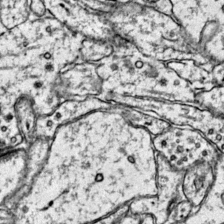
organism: Mouse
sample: Primary visual cortex